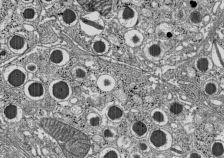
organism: C57BL Mouse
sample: Pancreatic islet